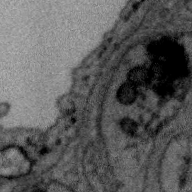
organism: Zebra finch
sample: Brain